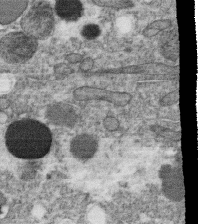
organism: C. elegans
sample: C. elegans oocyte; sperm cells